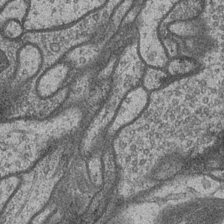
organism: Drosophila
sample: Optic medulla